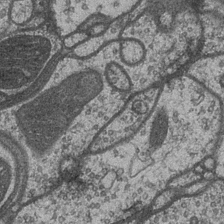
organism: Drosophila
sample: Optic medulla